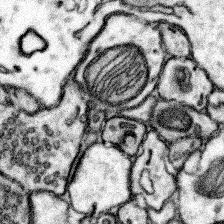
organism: Mouse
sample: Somatosensory cortex neuropil